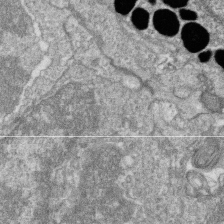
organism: Zebrafish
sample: Cilia; retinal pigment epithelium